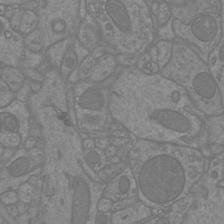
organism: Mouse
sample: Cortical neurons